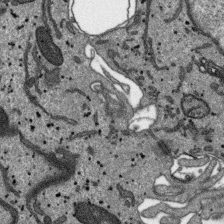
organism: Human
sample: Lung epithelial cells, uninfected (mock) control